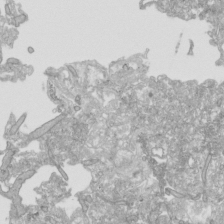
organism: Human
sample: Mitochondria in HCT116 cells